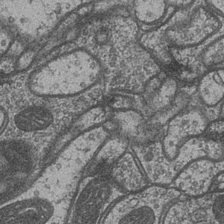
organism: Drosophila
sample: Optic medulla